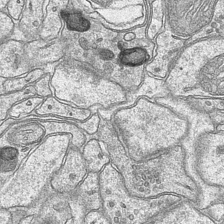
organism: Mouse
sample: CA1 Hippocampus